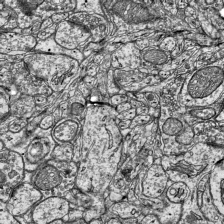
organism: Mouse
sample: Visual Cortex